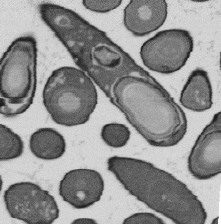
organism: B. subtilis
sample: Bacterial spore